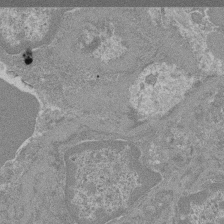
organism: Mouse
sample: Glomerulus